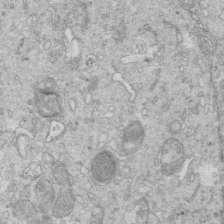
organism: Mouse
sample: Multiciliated cells